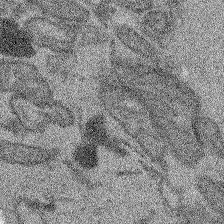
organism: Human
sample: HeLa cells